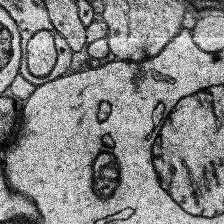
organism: Human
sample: Temporal Lobe